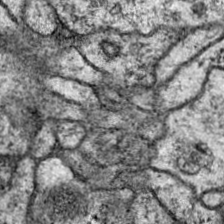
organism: Drosophila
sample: Ventral Nerve Cord